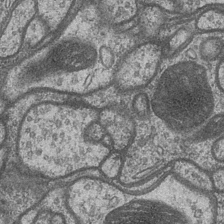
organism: Drosophila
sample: Optic medulla